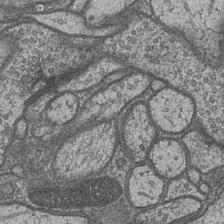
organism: Drosophila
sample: Optic medulla